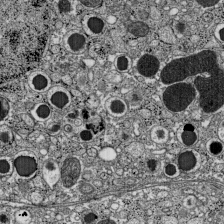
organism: C57BL Mouse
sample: Pancreatic islet